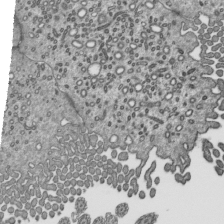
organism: Mouse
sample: Mouse epididymis efferent ductule cilia